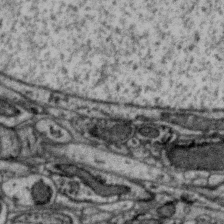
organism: Zebra finch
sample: Brain